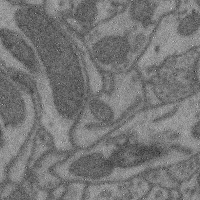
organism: Mouse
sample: Cerebral cortex